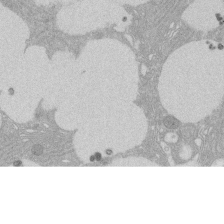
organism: Rat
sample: Salivary granule